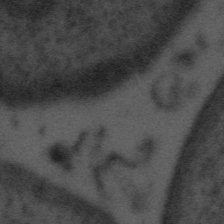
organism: Tuwongella immobilis